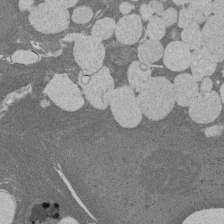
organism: Rat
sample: Salivary granule